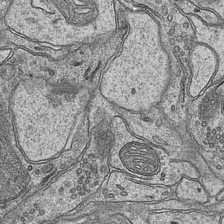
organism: Mouse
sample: CA1 Hippocampus